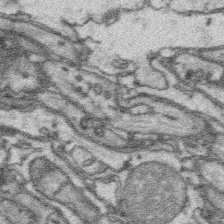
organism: Platynereis dumerilii